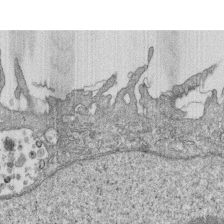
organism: Human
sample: HeLa cell HIV synapse